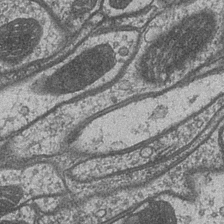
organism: Drosophila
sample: Optic medulla